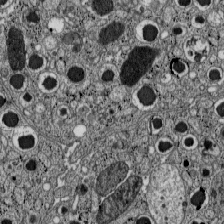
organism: C57BL Mouse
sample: Pancreatic islet